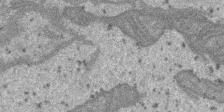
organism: Human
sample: Lung epithelial cells infected with SARS-CoV-2